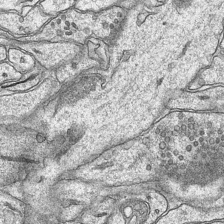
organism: Mouse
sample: CA1 Hippocampus